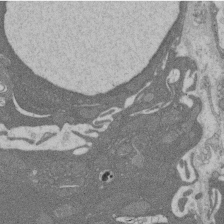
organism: Rat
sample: Salivary granule